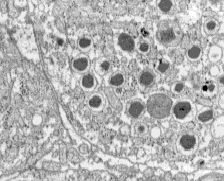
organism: C57BL Mouse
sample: Pancreatic islet